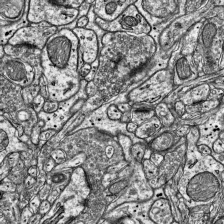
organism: Mouse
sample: Visual Cortex